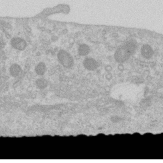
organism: Human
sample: Centriole in RPE cells